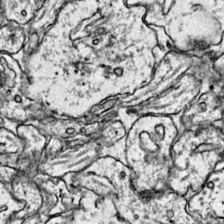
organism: Mouse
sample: Primary visual cortex